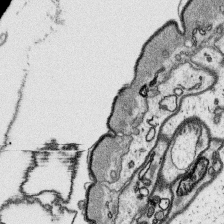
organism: Platynereis dumerilii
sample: Parapodia